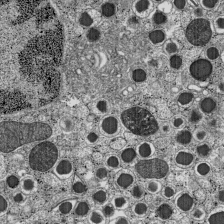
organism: C57BL Mouse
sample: Pancreatic islet